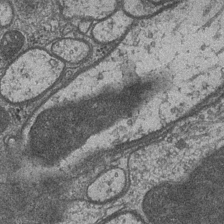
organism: Drosophila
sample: Optic medulla